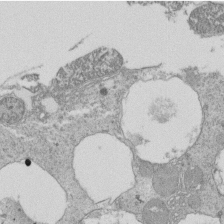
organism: Tetrahymena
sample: Cilia in tetrahymena